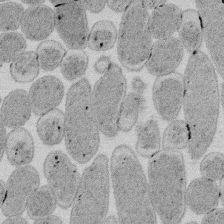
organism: E. coli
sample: Bacterial nucleoid